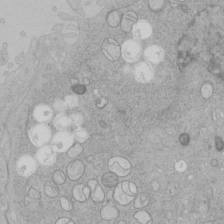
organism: Human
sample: Mitochondria in HCT116 cells